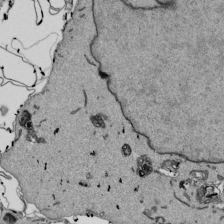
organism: Mouse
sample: ED-1 cell nuclei; centrioles